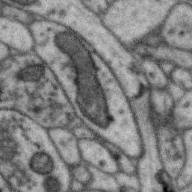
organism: Zebra finch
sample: Brain